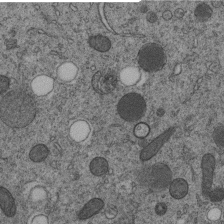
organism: C. elegans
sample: C. elegans embryo early stage